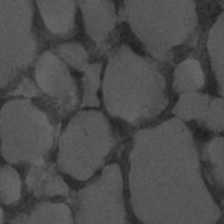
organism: C. elegans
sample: C. elegans embryo